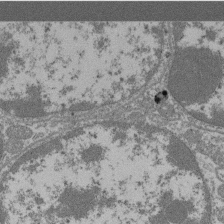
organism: Mouse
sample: Glomerulus